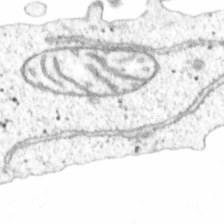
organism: Human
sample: HeLa cells